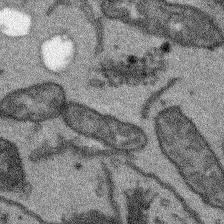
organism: Arabidopsis thaliana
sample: Root tip